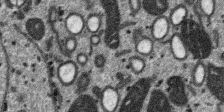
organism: Human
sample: Lung epithelial cells infected with SARS-CoV-2